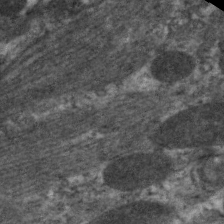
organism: C. elegans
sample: Pharynx